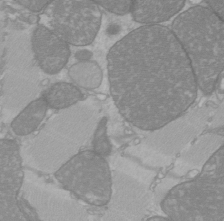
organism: C57BL Mouse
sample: Heart